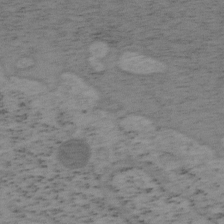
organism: Mouse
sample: OT-I killer T cells with ID8 ovarian cancer cells